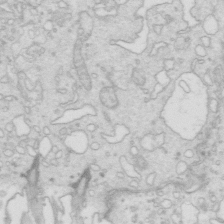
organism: Mouse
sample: Multiciliated cells